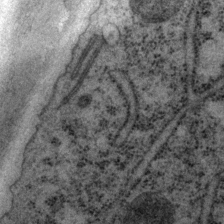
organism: P. pacificus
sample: Pharynx